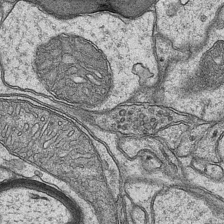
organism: Mouse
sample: CA1 Hippocampus